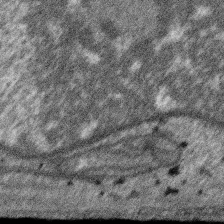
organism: Human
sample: Lung epithelial cells infected with SARS-CoV-2